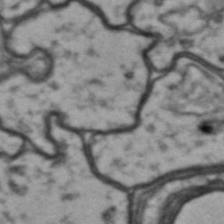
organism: Drosophila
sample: Brain